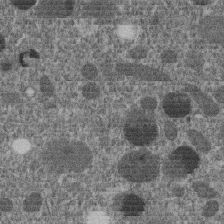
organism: C. elegans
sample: C. elegans embryo early stage